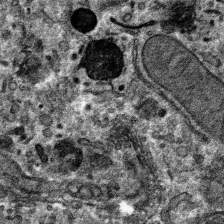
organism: Mouse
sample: Mouse hepatocytes